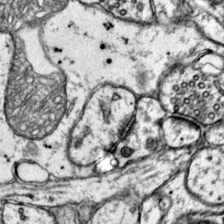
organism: Mouse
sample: Primary visual cortex